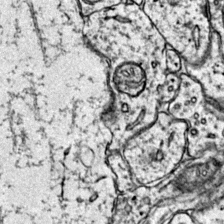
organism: Mouse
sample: Primary visual cortex